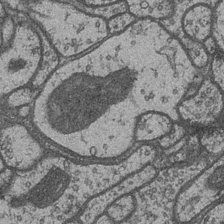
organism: Drosophila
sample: Optic medulla